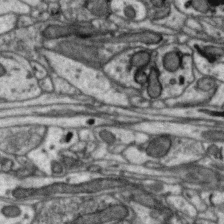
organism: Zebra finch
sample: Brain